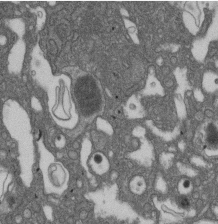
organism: Drosophila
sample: Nephrocyte